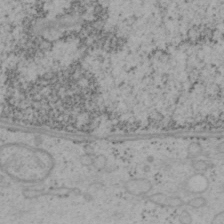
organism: Human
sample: HeLa cells